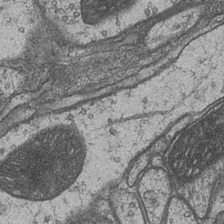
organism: Drosophila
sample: Optic medulla